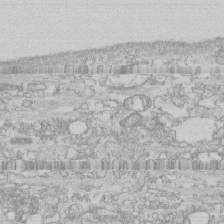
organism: Human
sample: CRL-1474